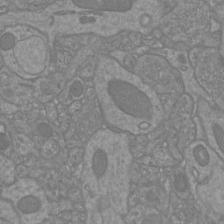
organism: Mouse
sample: Cortical neurons